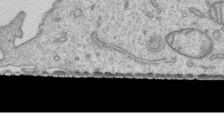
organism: Human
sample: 1205lu cells